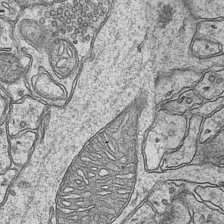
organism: Mouse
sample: CA1 Hippocampus